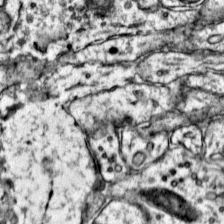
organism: Mouse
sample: Primary visual cortex